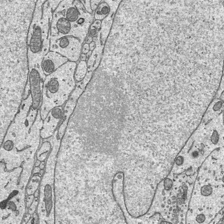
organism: Mouse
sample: Suprachiasmatic nucleus